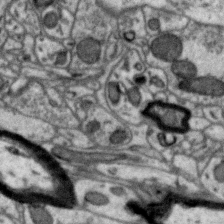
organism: Zebra finch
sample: Brain